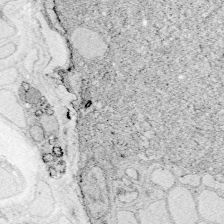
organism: Zebrafish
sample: Whole-Brain